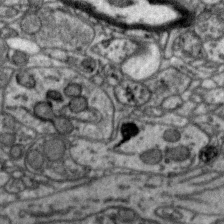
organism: Zebra finch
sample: Brain